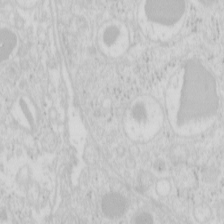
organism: Mouse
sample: Pancreas